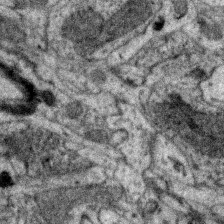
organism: Zebra finch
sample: Brain